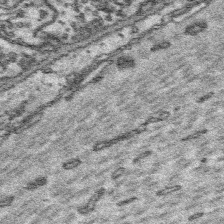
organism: Platynereis dumerilii